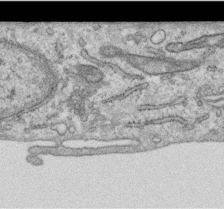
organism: Human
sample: Centriole in RPE cells